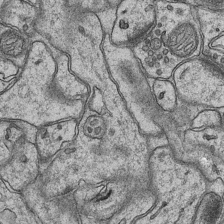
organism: Mouse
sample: CA1 Hippocampus